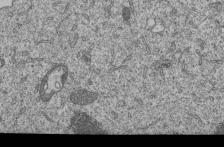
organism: Human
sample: MDA-MB-231 cells